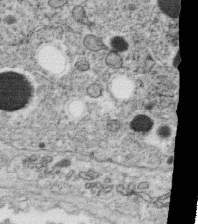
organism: C. elegans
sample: C. elegans oocyte; sperm cells